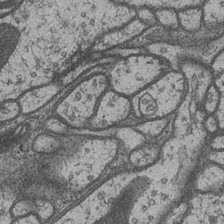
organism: Drosophila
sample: Optic medulla